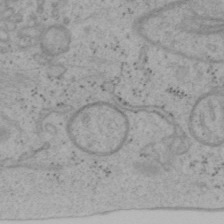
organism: Human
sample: HeLa cells